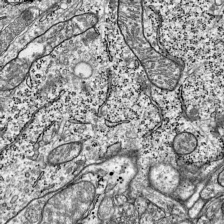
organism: Mouse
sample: Visual Cortex